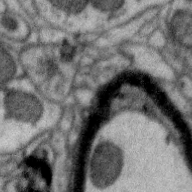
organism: Zebra finch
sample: Brain